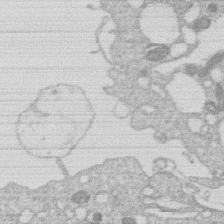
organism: Human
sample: Macrophage cells